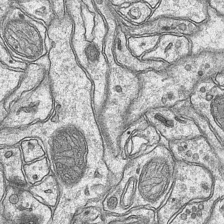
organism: Mouse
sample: CA1 Hippocampus